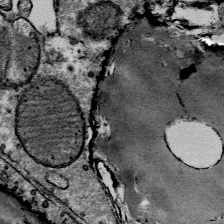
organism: Mouse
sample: Mouse Salivary gland